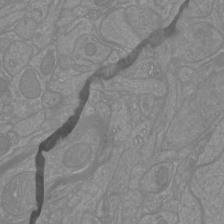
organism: Mouse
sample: Cortical neurons